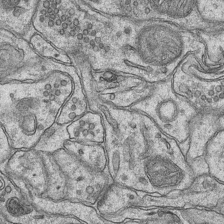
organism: Mouse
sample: CA1 Hippocampus